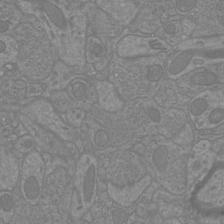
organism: Mouse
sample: Cortical neurons